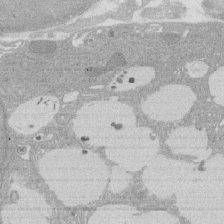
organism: Rat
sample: Salivary granule